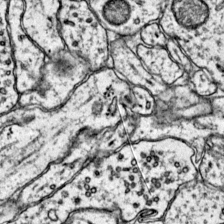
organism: Mouse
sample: Primary visual cortex